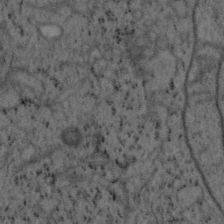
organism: Human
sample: HeLa cells